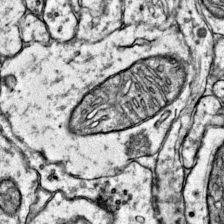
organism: Mouse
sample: Primary visual cortex